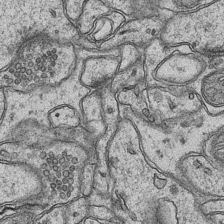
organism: Mouse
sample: CA1 Hippocampus